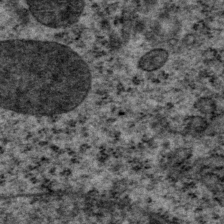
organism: P. pacificus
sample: Pharynx